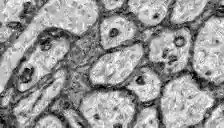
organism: Zebrafish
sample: Brain